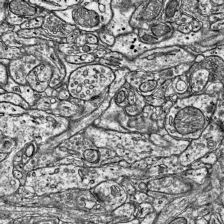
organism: Mouse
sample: Visual Cortex